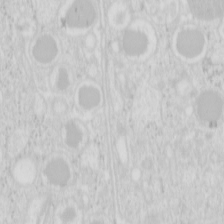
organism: Mouse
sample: Pancreas